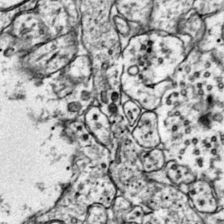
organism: Mouse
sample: Primary visual cortex